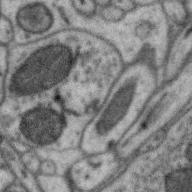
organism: Zebra finch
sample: Brain